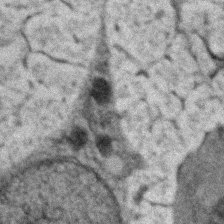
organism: Zebrafish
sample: Zebrafish embryo